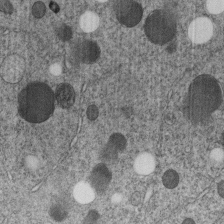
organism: C. elegans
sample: C. elegans embryo early stage